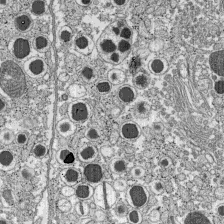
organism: C57BL Mouse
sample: Pancreatic islet